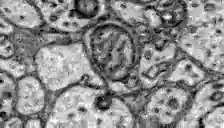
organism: Zebrafish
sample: Brain